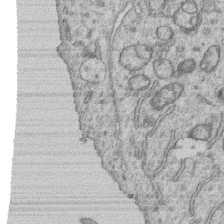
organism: Human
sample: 1205lu cells